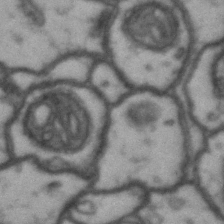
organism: Drosophila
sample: Brain